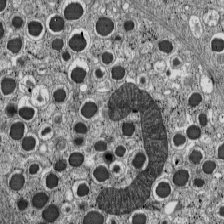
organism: C57BL Mouse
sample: Pancreatic islet